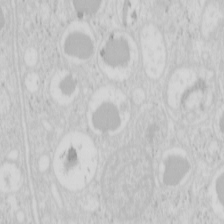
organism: Mouse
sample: Pancreas